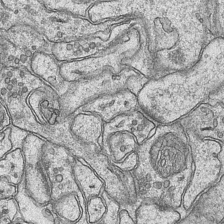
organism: Mouse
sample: CA1 Hippocampus